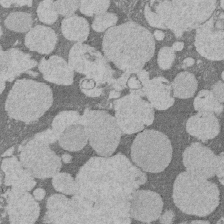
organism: Rat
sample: Salivary granule